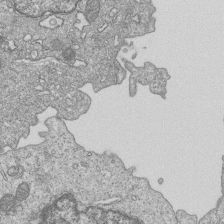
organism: Human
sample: MDA-MB-231 cells